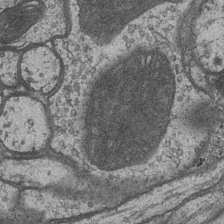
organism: Drosophila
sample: Optic medulla